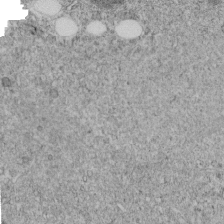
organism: C. elegans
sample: C. elegans embryo early stage